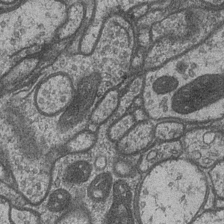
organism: Drosophila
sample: Optic medulla